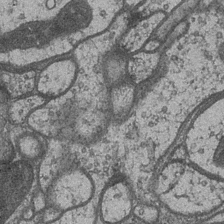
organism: Drosophila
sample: Optic medulla